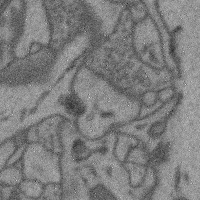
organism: Mouse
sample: Cerebral cortex